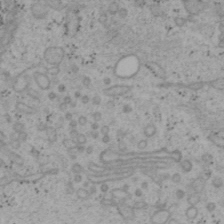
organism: Human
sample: HeLa cells